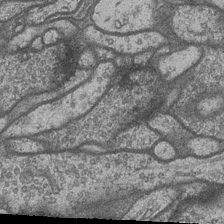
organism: Drosophila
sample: Optic medulla